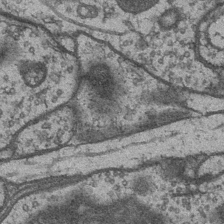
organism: Drosophila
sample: Optic medulla